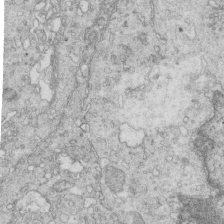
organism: Mouse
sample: Multiciliated cells